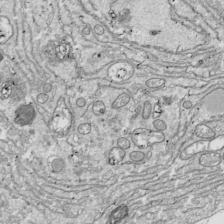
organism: Drosophila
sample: Cell division; meiosis; drosophila spermatocytes